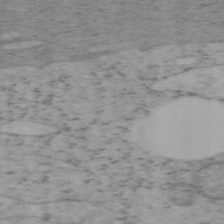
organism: Mouse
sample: OT-I killer T cells with ID8 ovarian cancer cells